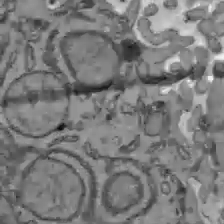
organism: C57BL Mouse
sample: Liver